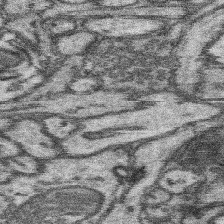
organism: Mouse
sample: Somatosensory cortex neuropil